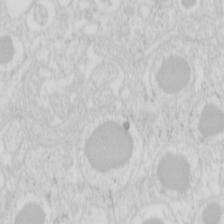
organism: Mouse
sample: Pancreas